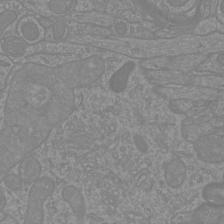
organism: Mouse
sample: Cortical neurons